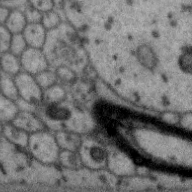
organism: Zebra finch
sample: Brain